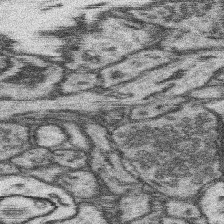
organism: Mouse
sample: Somatosensory cortex neuropil